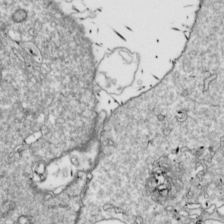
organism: Drosophila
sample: Cell division; meiosis; drosophila spermatocytes